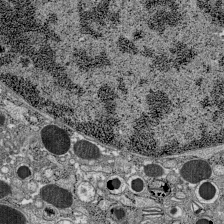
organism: C57BL Mouse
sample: Pancreatic islet